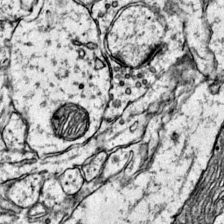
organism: Mouse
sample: Primary visual cortex